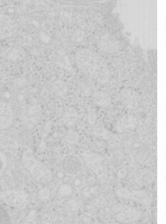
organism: Mouse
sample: Pancreas